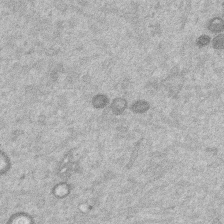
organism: Mouse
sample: Dividing mouse embryo 1 cell stage